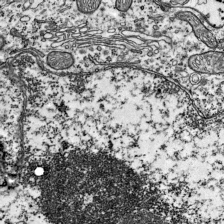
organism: Mouse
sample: Visual Cortex